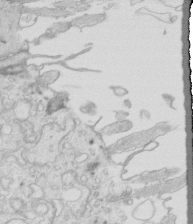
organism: Mouse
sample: Multiciliated cells